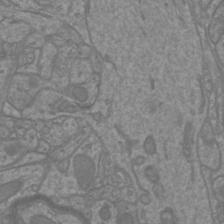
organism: Mouse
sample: Cortical neurons